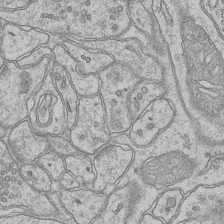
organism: Mouse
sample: CA1 Hippocampus